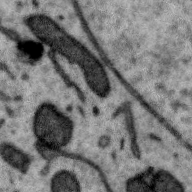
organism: Zebra finch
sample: Brain